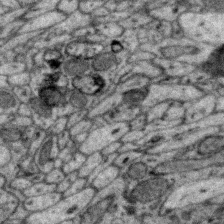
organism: Zebra finch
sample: Brain